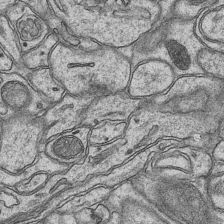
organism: Mouse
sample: CA1 Hippocampus